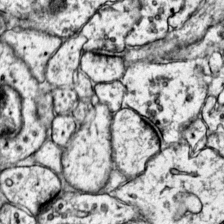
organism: Mouse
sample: Primary visual cortex